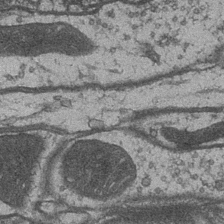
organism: Drosophila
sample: Optic medulla